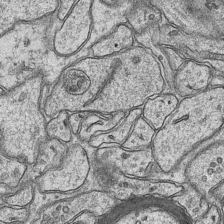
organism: Mouse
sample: CA1 Hippocampus